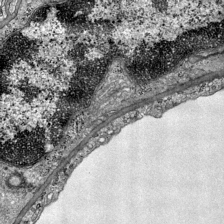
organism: Mouse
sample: Visual Cortex